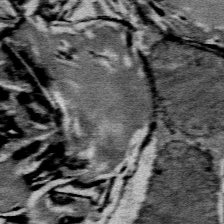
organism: Mouse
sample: Mouse Salivary gland